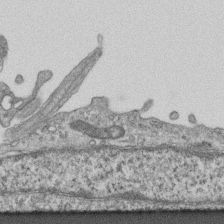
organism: Mouse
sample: Centriole in ependymal cells